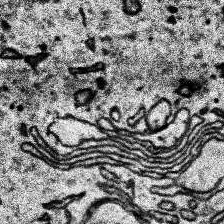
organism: Human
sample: Temporal Lobe